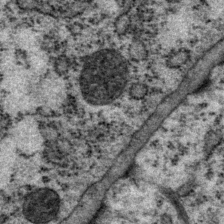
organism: P. pacificus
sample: Pharynx